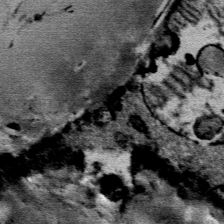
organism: Mouse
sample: Mouse Salivary gland